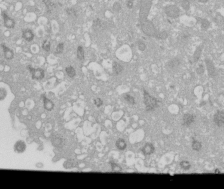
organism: Xenopus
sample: Cilia; centrioles in frog embryo cells